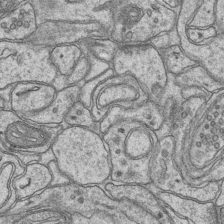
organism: Mouse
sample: CA1 Hippocampus